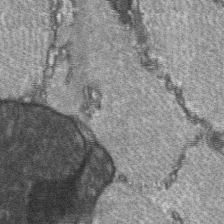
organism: C57BL Mouse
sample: Soleus